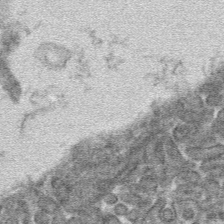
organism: Mouse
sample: Mouse hepatocytes